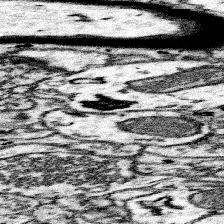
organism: Mouse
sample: Somatosensory cortex neuropil